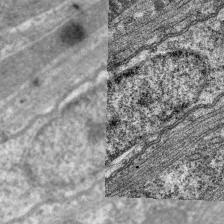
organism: C. elegans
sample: Pharynx